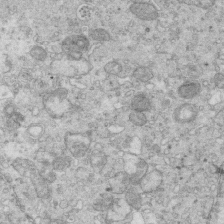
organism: Mouse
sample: Multiciliated cells